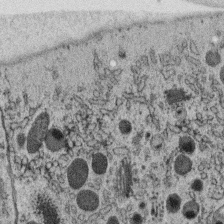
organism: C. elegans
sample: C. elegans oocyte; sperm cells